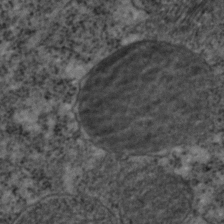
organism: C. elegans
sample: C. elegans embryo